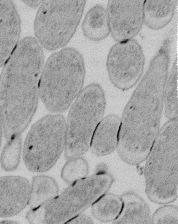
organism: E. coli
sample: Bacterial nucleoid